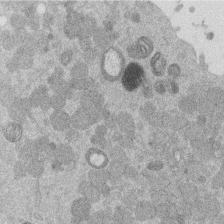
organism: Mouse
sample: Dividing mouse embryo 1 cell stage